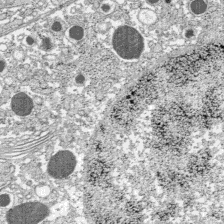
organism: C57BL Mouse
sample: Pancreatic islet